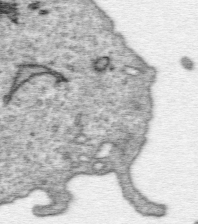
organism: Human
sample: HeLa cells